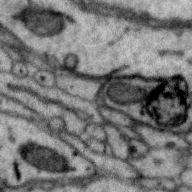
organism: Zebra finch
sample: Brain